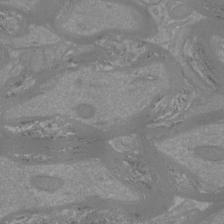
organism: Mouse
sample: Cortical neurons